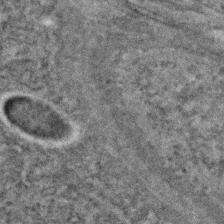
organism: C. elegans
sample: C. elegans embryo